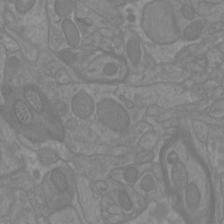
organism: Mouse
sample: Cortical neurons